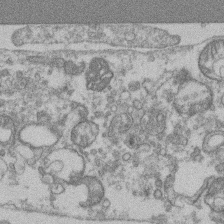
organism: Mouse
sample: T cell stromal cell synapse